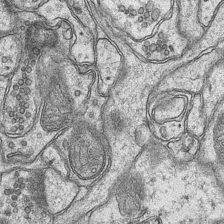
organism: Mouse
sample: CA1 Hippocampus